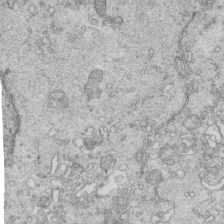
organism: Mouse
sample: Multiciliated cells